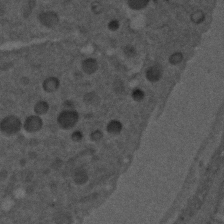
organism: C. elegans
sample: C. elegans embryo